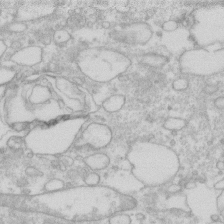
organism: Human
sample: Fibroblast cells